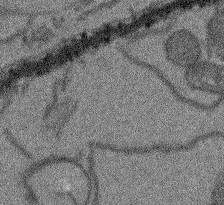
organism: Arabidopsis thaliana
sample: Root tip